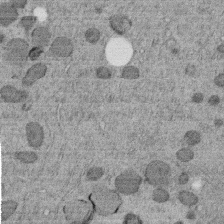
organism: C. elegans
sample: C. elegans embryo early stage